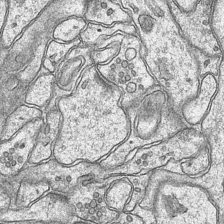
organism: Mouse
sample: CA1 Hippocampus